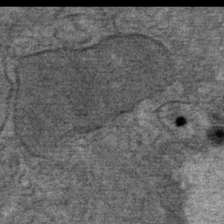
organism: Mouse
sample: Mouse Salivary gland